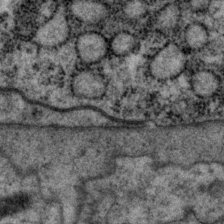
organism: P. pacificus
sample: Pharynx